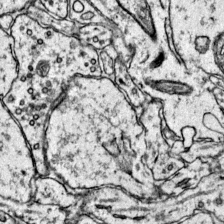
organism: Mouse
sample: Primary visual cortex